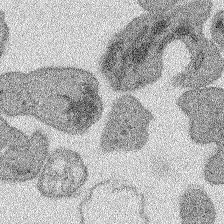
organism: Human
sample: HeLa cells